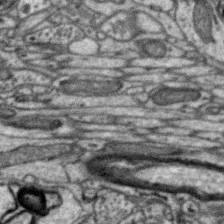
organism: Zebra finch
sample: Brain